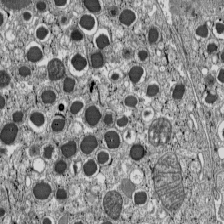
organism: C57BL Mouse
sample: Pancreatic islet